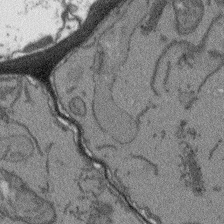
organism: Arabidopsis thaliana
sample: Root tip